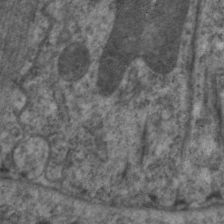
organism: C. elegans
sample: Pharynx